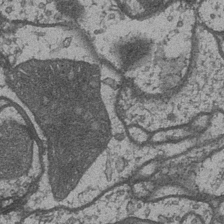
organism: Drosophila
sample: Optic medulla